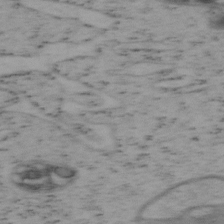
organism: Mouse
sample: OT-I killer T cells with ID8 ovarian cancer cells